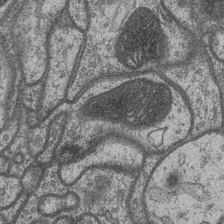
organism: Drosophila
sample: Optic medulla